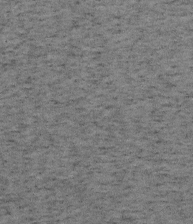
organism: Mouse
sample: OT-I killer T cells with ID8 ovarian cancer cells